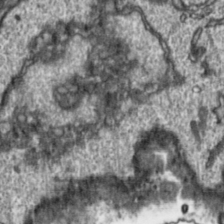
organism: Toxoplasma gondii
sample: Parasites in a vacuole inside a host cell